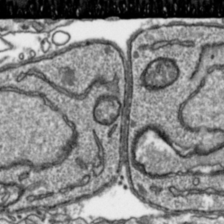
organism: Toxoplasma gondii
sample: Parasites in a vacuole inside a host cell